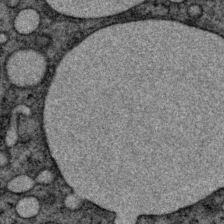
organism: P. pacificus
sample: Pharynx